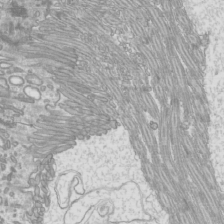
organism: Mouse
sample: Cilia; mouse epididymis